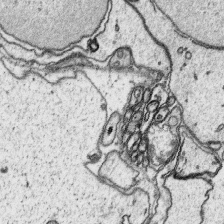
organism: Platynereis dumerilii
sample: Parapodia